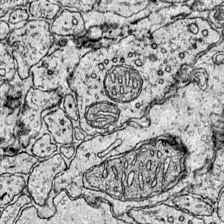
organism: Mouse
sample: Primary visual cortex